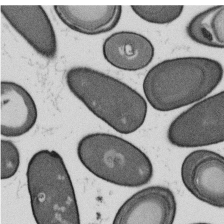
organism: B. subtilis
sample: Bacterial spore